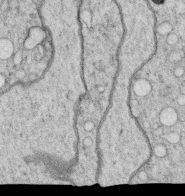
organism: C. elegans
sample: C. elegans oocyte; sperm cells